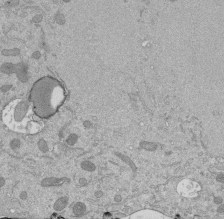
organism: Mouse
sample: ED-1 cell nuclei; centrioles